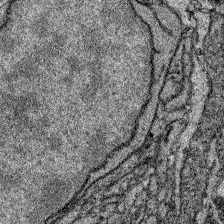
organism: Zebrafish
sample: Larval olfactory bulb